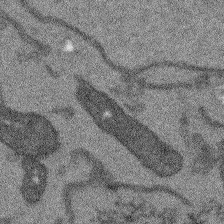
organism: Arabidopsis thaliana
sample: Root tip